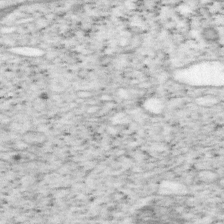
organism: Mouse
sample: OT-I killer T cells with ID8 ovarian cancer cells